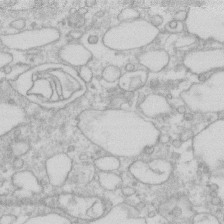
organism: Human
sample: Fibroblast cells